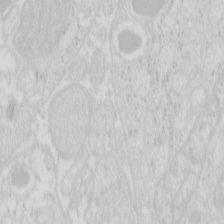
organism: Mouse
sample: Pancreas